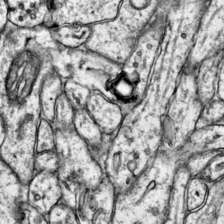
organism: Mouse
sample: Primary visual cortex